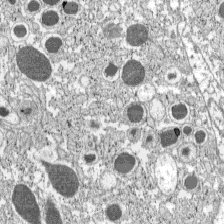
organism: C57BL Mouse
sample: Pancreatic islet